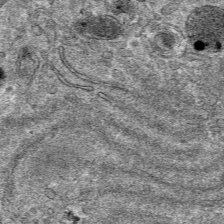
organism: Mouse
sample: Mouse hepatocytes